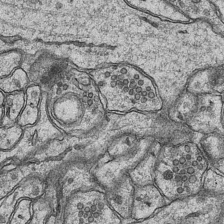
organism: Mouse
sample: CA1 Hippocampus